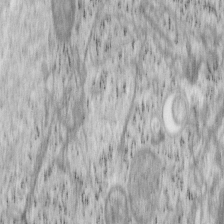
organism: Human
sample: HeLa cells